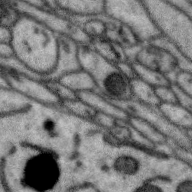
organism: Zebra finch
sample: Brain